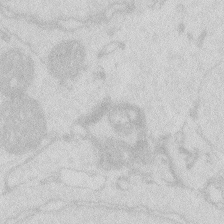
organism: Zebrafish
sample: Macrophage